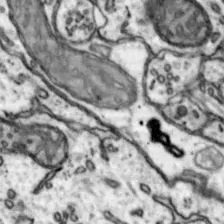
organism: Mouse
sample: Nucleus accumbens